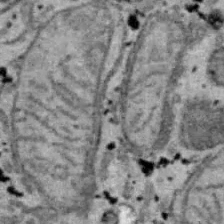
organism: Mouse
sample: Liver from an obese (ob/ob) mouse